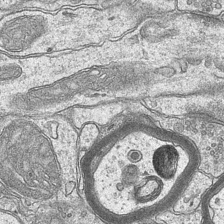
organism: Mouse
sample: CA1 Hippocampus